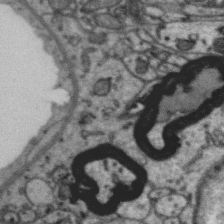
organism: Zebra finch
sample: Brain